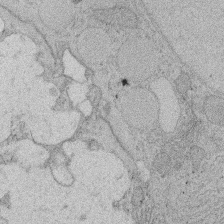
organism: Rat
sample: Salivary granule